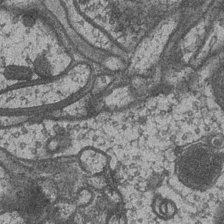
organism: Drosophila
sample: Optic medulla